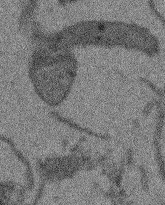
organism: Arabidopsis thaliana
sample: Root tip